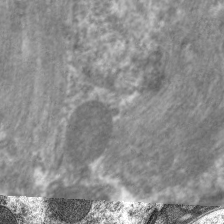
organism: C. elegans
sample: Pharynx